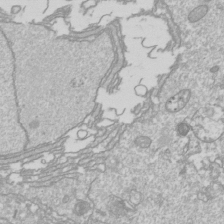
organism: Drosophila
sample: Cell division; meiosis; drosophila spermatocytes